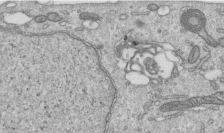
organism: Human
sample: Centriole in RPE cells